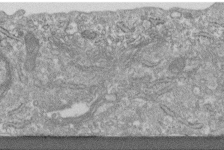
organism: Human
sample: Centriole in fibroblast cells